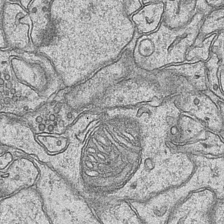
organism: Mouse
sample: CA1 Hippocampus